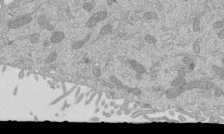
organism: Mouse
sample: ED-1 cell nuclei; centrioles